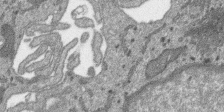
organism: Human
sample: Lung epithelial cells infected with SARS-CoV-2